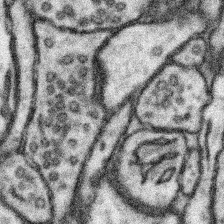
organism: Mouse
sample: Somatosensory cortex neuropil